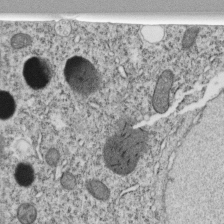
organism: C. elegans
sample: C. elegans embryo early stage